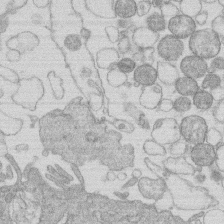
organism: Human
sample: Macrophage cells